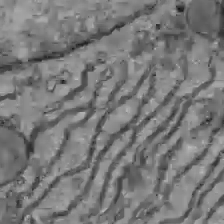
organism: C57BL Mouse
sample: Liver